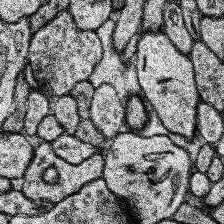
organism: Human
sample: Temporal Lobe